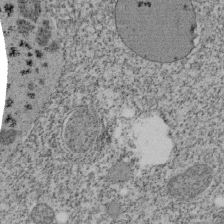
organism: Tetrahymena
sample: Cilia in tetrahymena